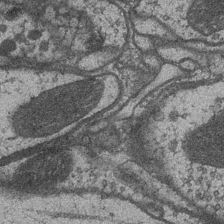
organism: Drosophila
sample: Optic medulla